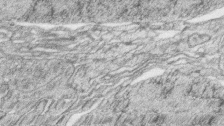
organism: Zebrafish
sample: synaptic ribbons in rod cells and cone cells